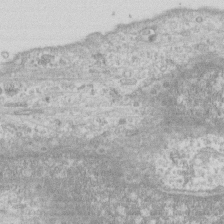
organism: Human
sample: Fibroblast cells